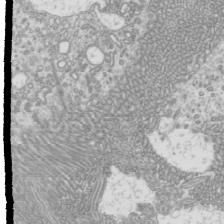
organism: Mouse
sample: Cilia; mouse epididymis